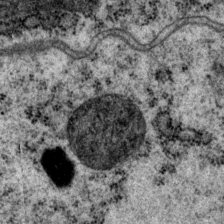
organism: P. pacificus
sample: Pharynx